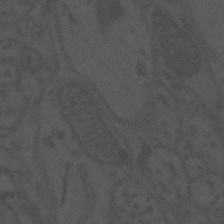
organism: Mouse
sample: Suprachiasmatic nucleus